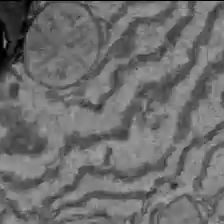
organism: C57BL Mouse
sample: Liver